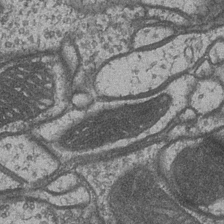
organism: Drosophila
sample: Optic medulla